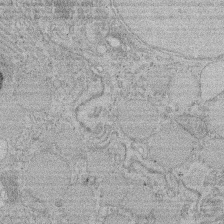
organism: Rat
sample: Salivary granule